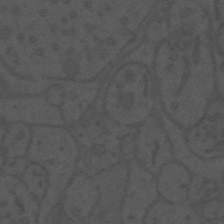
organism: Mouse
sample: Suprachiasmatic nucleus